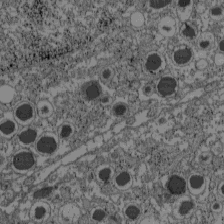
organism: C57BL Mouse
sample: Pancreatic islet